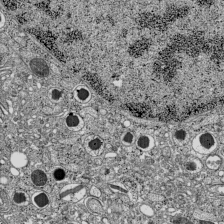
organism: C57BL Mouse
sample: Pancreatic islet